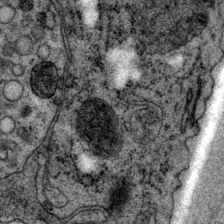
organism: P. pacificus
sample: Pharynx